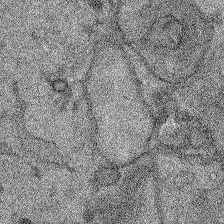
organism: Human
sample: HeLa cells